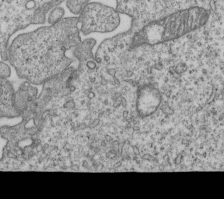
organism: Human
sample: MDA-MB-231 cells